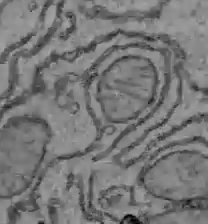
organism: C57BL Mouse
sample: Liver